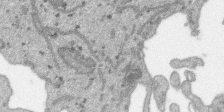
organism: Human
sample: Lung epithelial cells infected with SARS-CoV-2